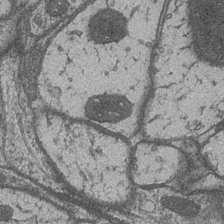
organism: Drosophila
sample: Optic medulla